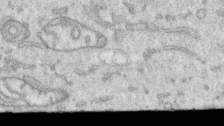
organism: Human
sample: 1205lu cells